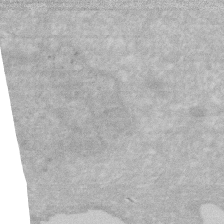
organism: Human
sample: HIV infected U937 cells